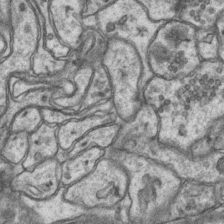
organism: Mouse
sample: CA1 Hippocampus